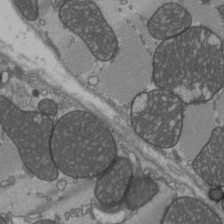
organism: C57BL Mouse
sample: Heart